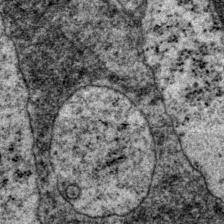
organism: P. pacificus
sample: Pharynx